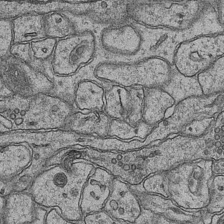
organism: Mouse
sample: CA1 Hippocampus